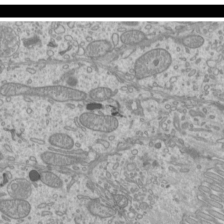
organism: Mouse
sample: Cilia; mouse epididymis